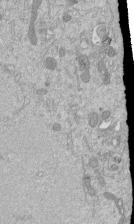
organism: Mouse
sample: ED-1 cell nuclei; centrioles